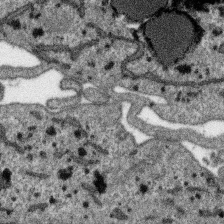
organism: Human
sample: Lung epithelial cells infected with SARS-CoV-2